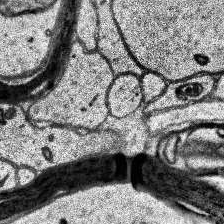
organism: Human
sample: Temporal Lobe